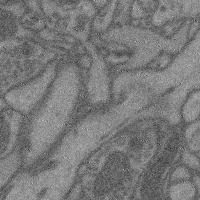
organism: Mouse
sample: Cerebral cortex